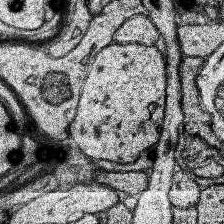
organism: Human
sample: Temporal Lobe